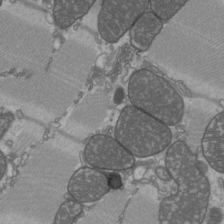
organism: C57BL Mouse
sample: Heart